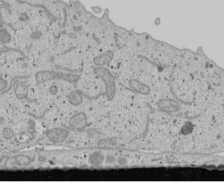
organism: Human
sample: Mitochondria in U2OS cells